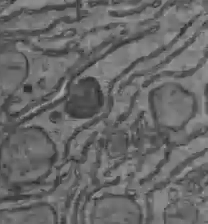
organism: C57BL Mouse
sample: Liver